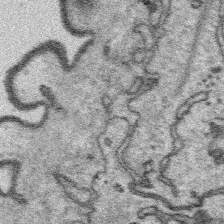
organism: Platynereis dumerilii